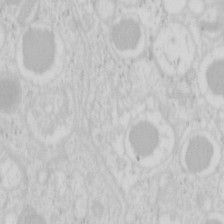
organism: Mouse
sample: Pancreas